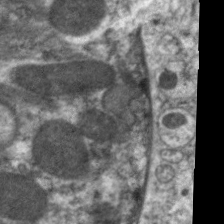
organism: C. elegans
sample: Pharynx